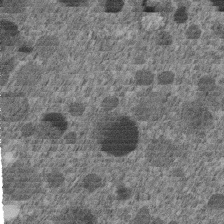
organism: C. elegans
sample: C. elegans embryo early stage